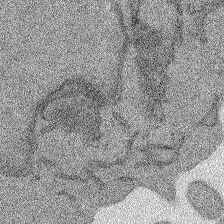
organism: Human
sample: HeLa cells